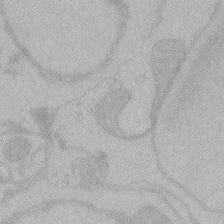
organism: Zebrafish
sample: Macrophage infected with Toxoplasma gondii